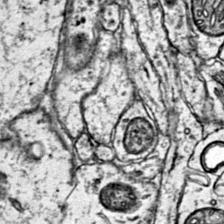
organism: Mouse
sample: Primary visual cortex